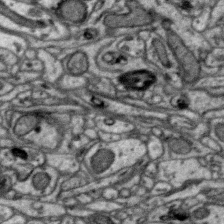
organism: Zebra finch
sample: Brain